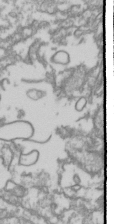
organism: Drosophila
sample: Cell division; meiosis; drosophila spermatocytes